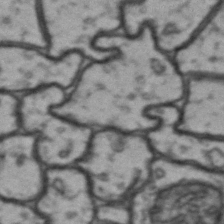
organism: Drosophila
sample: Brain